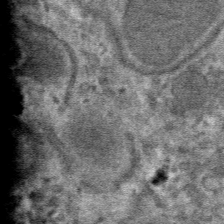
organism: Mouse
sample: Mouse hepatocytes